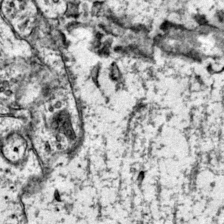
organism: Mouse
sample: Primary visual cortex